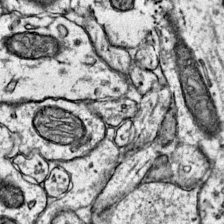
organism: Mouse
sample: Primary visual cortex